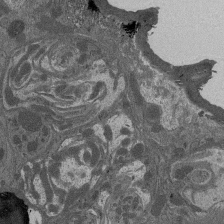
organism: Drosophila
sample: Antenna